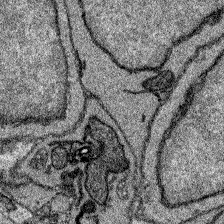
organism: Zebrafish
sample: Larval olfactory bulb